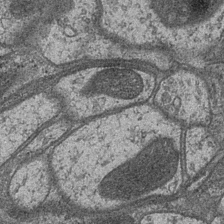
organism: Drosophila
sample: Optic medulla